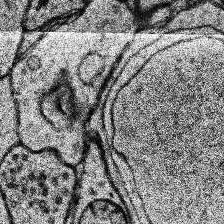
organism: Human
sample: Temporal Lobe